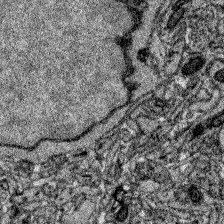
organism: Zebrafish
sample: Larval olfactory bulb